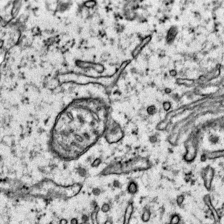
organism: Mouse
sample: Primary visual cortex